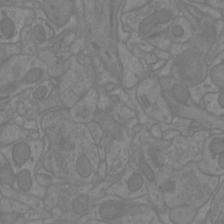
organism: Mouse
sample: Cortical neurons